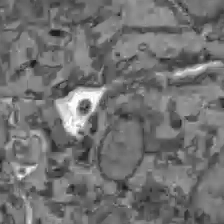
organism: C57BL Mouse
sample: Liver